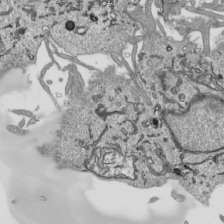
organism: Human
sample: Mitochondria in HCT116 cells